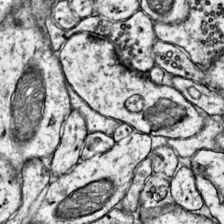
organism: Mouse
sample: Primary visual cortex